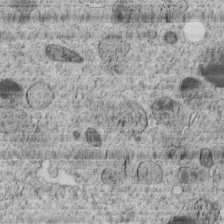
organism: C. elegans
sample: C. elegans embryo early stage